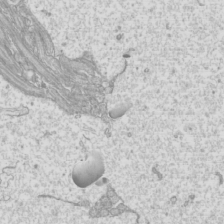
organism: Mouse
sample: Cilia; mouse epididymis